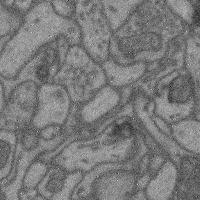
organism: Mouse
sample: Cerebral cortex